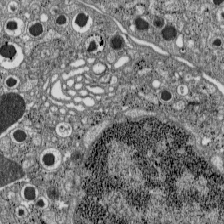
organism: C57BL Mouse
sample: Pancreatic islet